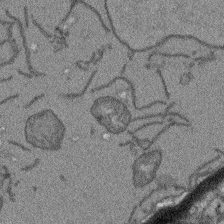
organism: Arabidopsis thaliana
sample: Root tip